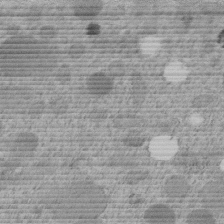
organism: C. elegans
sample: C. elegans embryo early stage